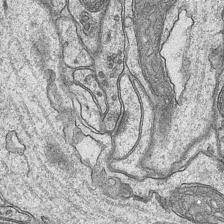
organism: Mouse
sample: CA1 Hippocampus